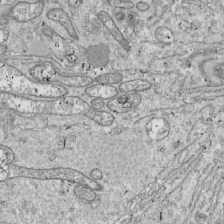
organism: Drosophila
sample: Cell division; meiosis; drosophila spermatocytes